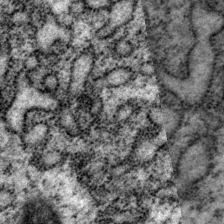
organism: P. pacificus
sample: Pharynx